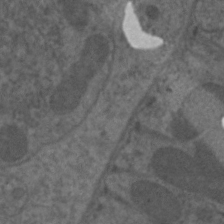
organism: C. elegans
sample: Pharynx